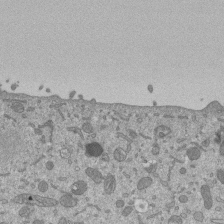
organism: Mouse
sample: ED-1 cell nuclei; centrioles